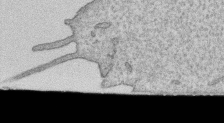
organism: Human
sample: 1205lu cells